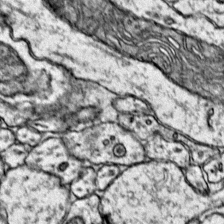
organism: Mouse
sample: Primary visual cortex